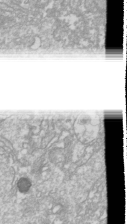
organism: Drosophila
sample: Cell division; meiosis; drosophila spermatocytes